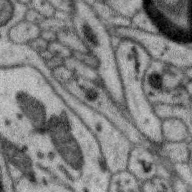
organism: Zebra finch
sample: Brain